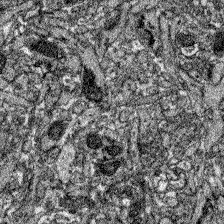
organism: Zebrafish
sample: Larval olfactory bulb